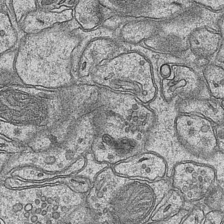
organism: Mouse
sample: CA1 Hippocampus